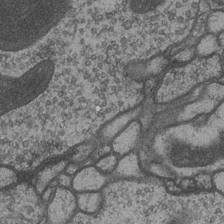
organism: Drosophila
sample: Optic medulla